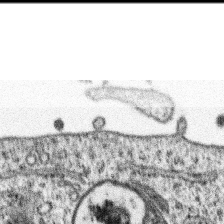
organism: Human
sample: HeLa cells